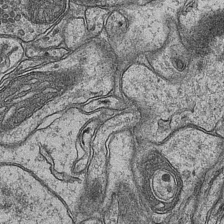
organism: Mouse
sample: CA1 Hippocampus